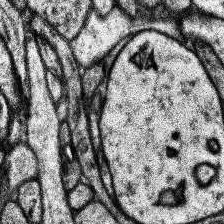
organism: Human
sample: Temporal Lobe